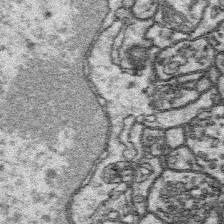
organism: Platynereis dumerilii